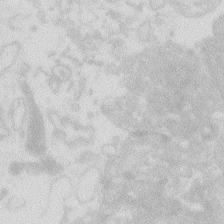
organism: Zebrafish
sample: Macrophage